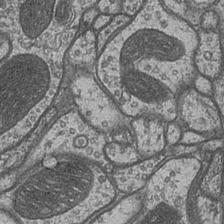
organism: Drosophila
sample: Optic medulla